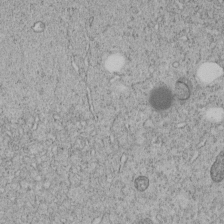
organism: C. elegans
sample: C. elegans embryo early stage